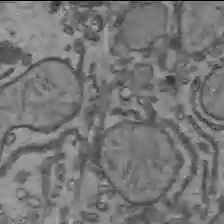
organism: C57BL Mouse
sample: Liver